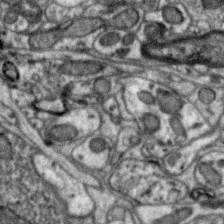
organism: Zebra finch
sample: Brain